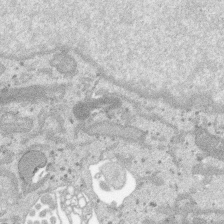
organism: Human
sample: Lung epithelial cells infected with SARS-CoV-2